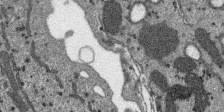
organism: Human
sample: Lung epithelial cells infected with SARS-CoV-2